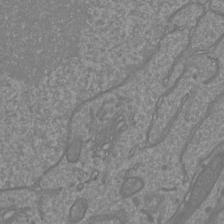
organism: Mouse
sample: Cortical neurons